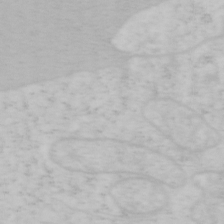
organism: Mouse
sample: OT-I killer T cells with ID8 ovarian cancer cells